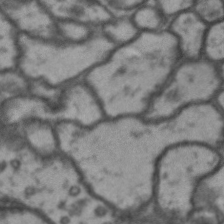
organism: Drosophila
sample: Brain